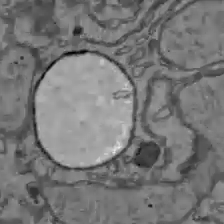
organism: C57BL Mouse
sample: Liver